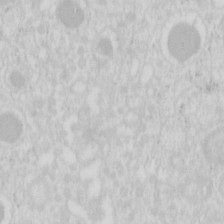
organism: Mouse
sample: Pancreas